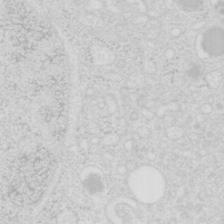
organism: Mouse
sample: Pancreas